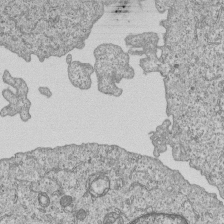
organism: Human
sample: MDA-MB-231 cells